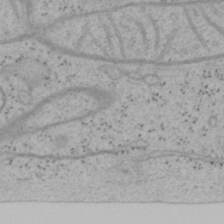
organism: Human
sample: HeLa cells